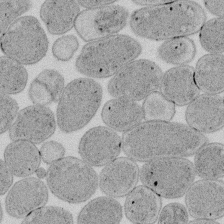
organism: E. coli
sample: Bacterial nucleoid